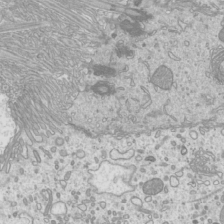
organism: Mouse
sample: Cilia; mouse epididymis